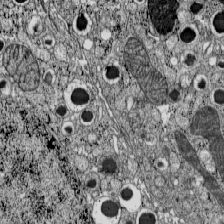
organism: C57BL Mouse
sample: Pancreatic islet